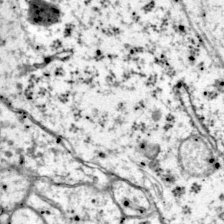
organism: Mouse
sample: Primary visual cortex